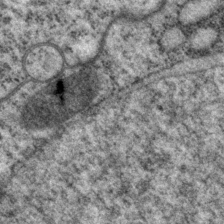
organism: P. pacificus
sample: Pharynx